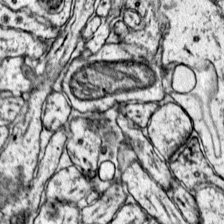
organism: Mouse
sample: Primary visual cortex